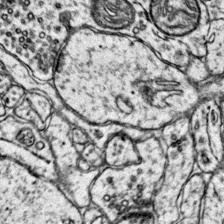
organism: Mouse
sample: Primary visual cortex